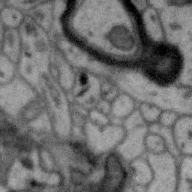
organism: Zebra finch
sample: Brain